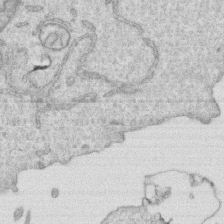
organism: Human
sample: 1205lu cells